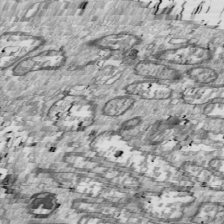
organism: Drosophila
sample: Cell division; meiosis; drosophila spermatocytes